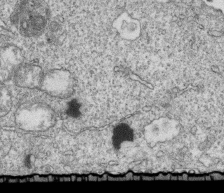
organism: Human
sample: HeLa cell HIV synapse